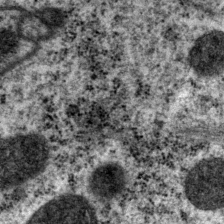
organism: P. pacificus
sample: Pharynx